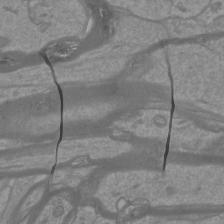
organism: Mouse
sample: Cortical neurons